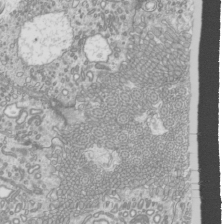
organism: Mouse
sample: Cilia; mouse epididymis